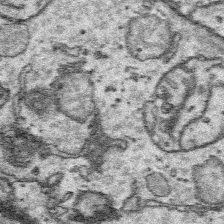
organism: Platynereis dumerilii